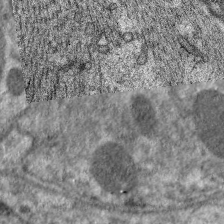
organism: C. elegans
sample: Pharynx